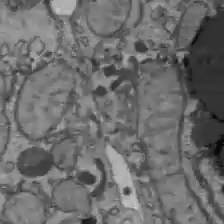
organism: C57BL Mouse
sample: Liver